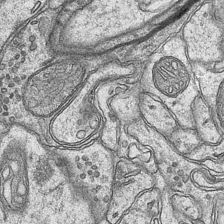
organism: Mouse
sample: CA1 Hippocampus